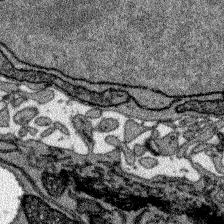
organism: Zebrafish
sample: Larval olfactory bulb